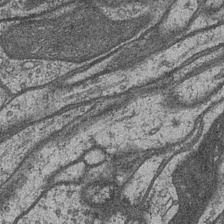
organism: Drosophila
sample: Optic medulla